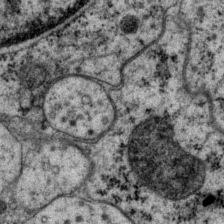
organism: P. pacificus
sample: Pharynx